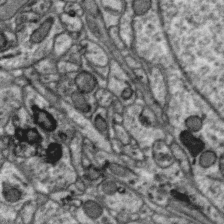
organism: Zebra finch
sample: Brain